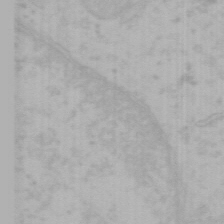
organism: Mouse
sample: Choroid plexus